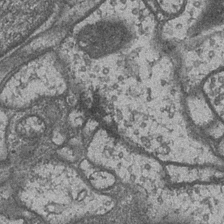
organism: Drosophila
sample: Optic medulla